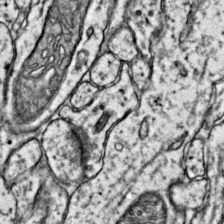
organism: Mouse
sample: Primary visual cortex